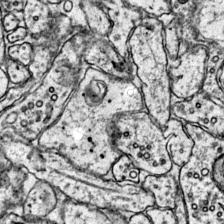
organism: Mouse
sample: Primary visual cortex